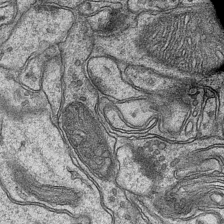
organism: Mouse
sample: CA1 Hippocampus